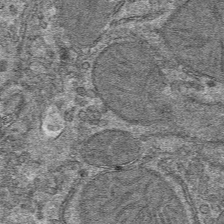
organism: Mouse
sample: Mouse hepatocytes